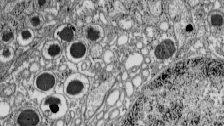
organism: C57BL Mouse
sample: Pancreatic islet